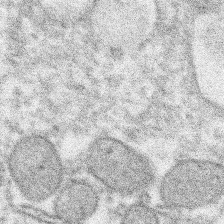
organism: Xenopus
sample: Cilia; centrioles in frog embryo cells